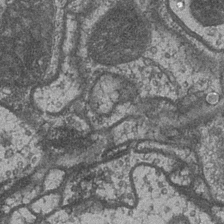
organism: Drosophila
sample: Optic medulla